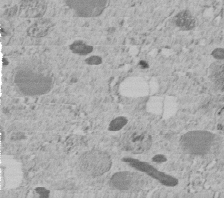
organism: C. elegans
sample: C. elegans embryo early stage